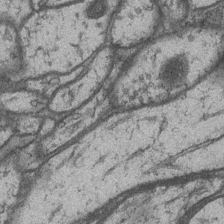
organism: Drosophila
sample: Optic medulla